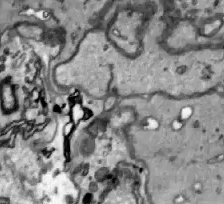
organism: Zebrafish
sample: Actinotrichia fibers